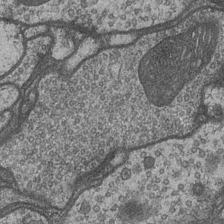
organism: Drosophila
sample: Optic medulla